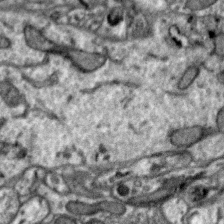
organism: Zebra finch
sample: Brain